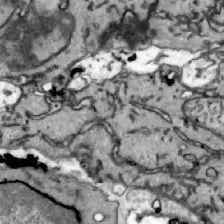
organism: Zebrafish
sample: Actinotrichia fibers